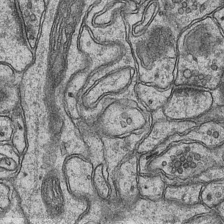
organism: Mouse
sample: CA1 Hippocampus